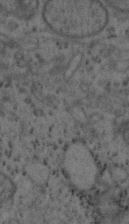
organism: Human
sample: HeLa cells